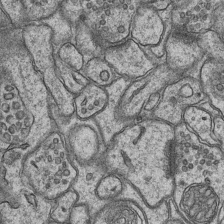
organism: Mouse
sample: CA1 Hippocampus